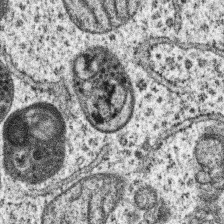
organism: Human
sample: HeLa cells